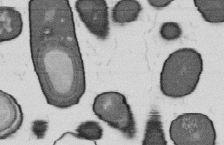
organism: B. subtilis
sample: Bacterial spore